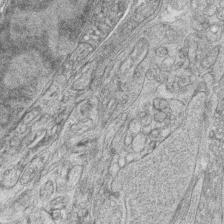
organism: Zebrafish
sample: synaptic ribbons in rod cells and cone cells